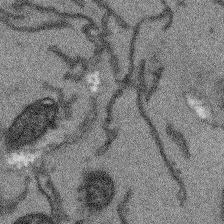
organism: Arabidopsis thaliana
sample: Root tip